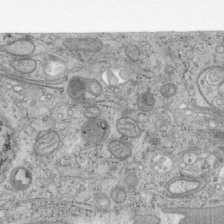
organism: Human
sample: HeLa cells